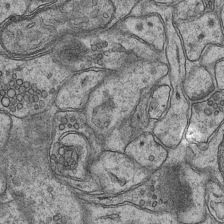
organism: Mouse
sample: CA1 Hippocampus